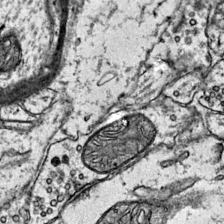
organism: Mouse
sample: Primary visual cortex